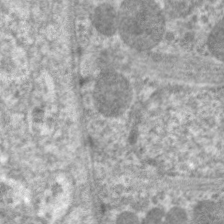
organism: C. elegans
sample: Pharynx